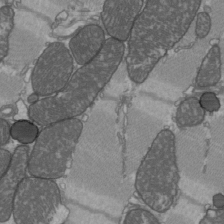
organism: C57BL Mouse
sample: Heart